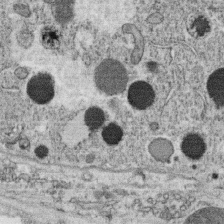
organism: C. elegans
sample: C. elegans oocyte; sperm cells